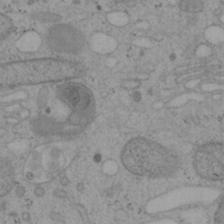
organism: Mouse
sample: OT-I killer T cells with ID8 ovarian cancer cells